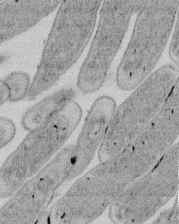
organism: E. coli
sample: Bacterial nucleoid